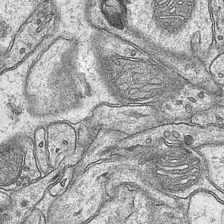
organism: Mouse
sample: CA1 Hippocampus